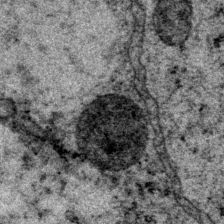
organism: P. pacificus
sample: Pharynx